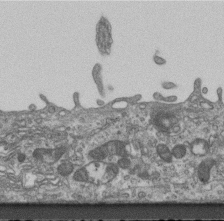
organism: Mouse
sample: Centriole in ependymal cells